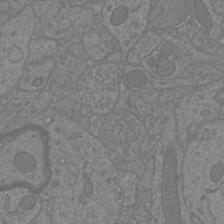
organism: Mouse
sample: Cortical neurons